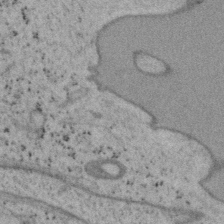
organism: Human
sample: HeLa cells